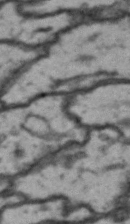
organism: Drosophila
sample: Brain